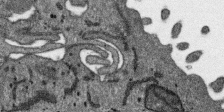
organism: Human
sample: Lung epithelial cells, uninfected (mock) control